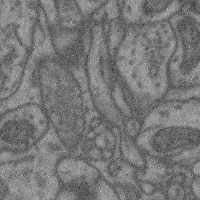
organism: Mouse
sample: Cerebral cortex